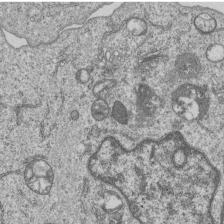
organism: Human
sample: MDA-MB-231 cells